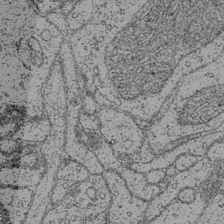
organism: Drosophila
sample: Optic medulla